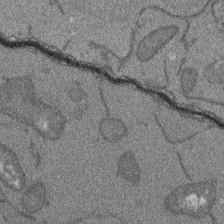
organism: Arabidopsis thaliana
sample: Root tip